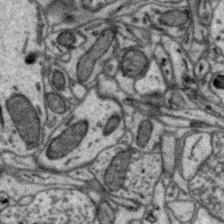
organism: Zebra finch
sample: Brain